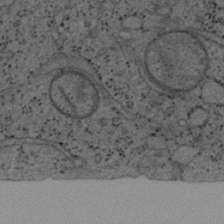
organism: Human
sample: HeLa cells